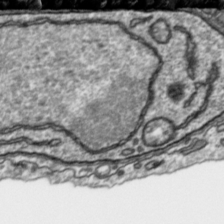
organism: Toxoplasma gondii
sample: Parasites in a vacuole inside a host cell